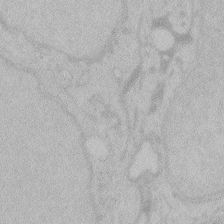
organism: Zebrafish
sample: Macrophage infected with Toxoplasma gondii